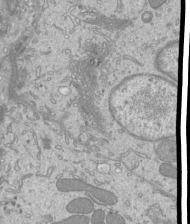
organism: Mouse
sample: Cilia; mouse epididymis